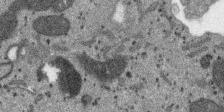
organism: Human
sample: Lung epithelial cells infected with SARS-CoV-2